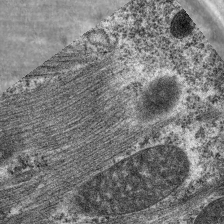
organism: C. elegans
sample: Pharynx